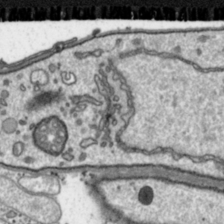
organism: Toxoplasma gondii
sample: Parasites in a vacuole inside a host cell